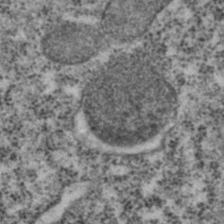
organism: C. elegans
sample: C. elegans embryo